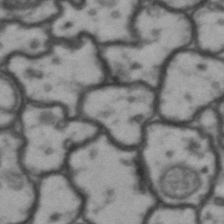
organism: Drosophila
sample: Brain